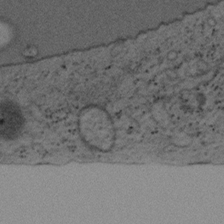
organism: Human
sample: HeLa cells